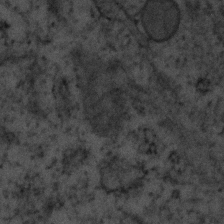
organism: Human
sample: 1205lu cells